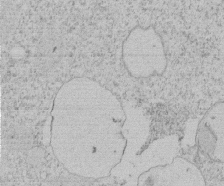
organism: Tetrahymena